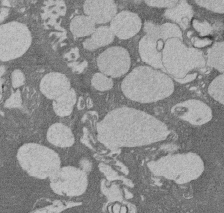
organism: Rat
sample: Salivary granule